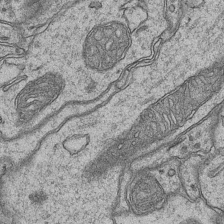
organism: Mouse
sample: CA1 Hippocampus